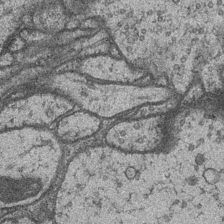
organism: Drosophila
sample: Optic medulla